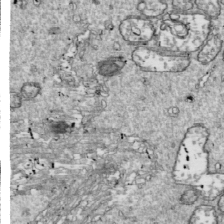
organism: Drosophila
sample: Cell division; meiosis; drosophila spermatocytes